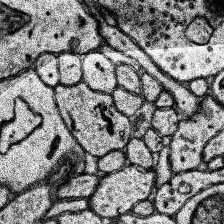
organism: Human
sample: Temporal Lobe